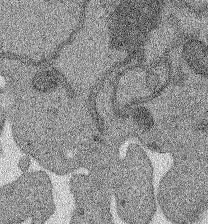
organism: Human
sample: HeLa cells